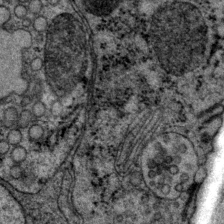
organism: P. pacificus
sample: Pharynx